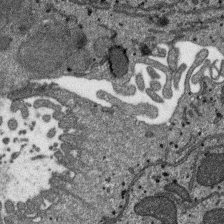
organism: Human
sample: Lung epithelial cells infected with SARS-CoV-2